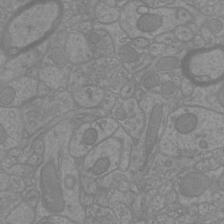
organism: Mouse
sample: Cortical neurons